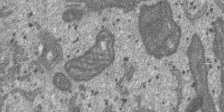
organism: Human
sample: Lung epithelial cells infected with SARS-CoV-2